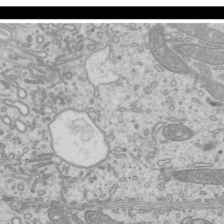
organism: Mouse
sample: Cilia; mouse epididymis